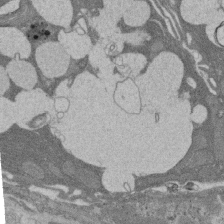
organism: Rat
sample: Salivary granule